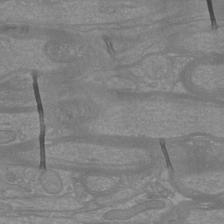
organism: Mouse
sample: Cortical neurons